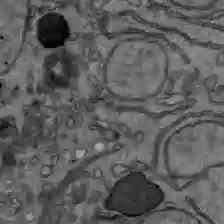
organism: C57BL Mouse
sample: Liver